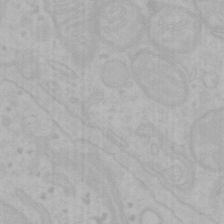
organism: Mouse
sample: Choroid plexus